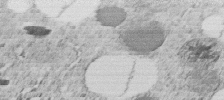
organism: C. elegans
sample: C. elegans embryo early stage